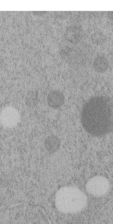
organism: C. elegans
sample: C. elegans embryo early stage